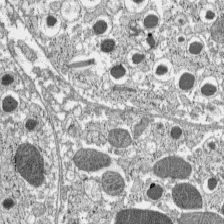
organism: C57BL Mouse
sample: Pancreatic islet